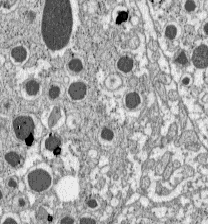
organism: C57BL Mouse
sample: Pancreatic islet